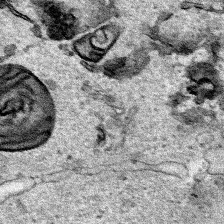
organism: Human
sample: Mitochondria in HCT116 cells